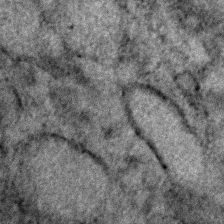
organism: Human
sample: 1205lu cells